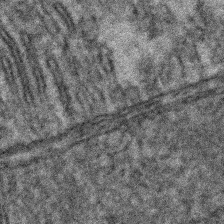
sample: Kidney